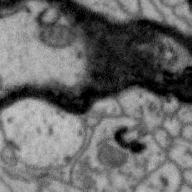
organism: Zebra finch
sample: Brain